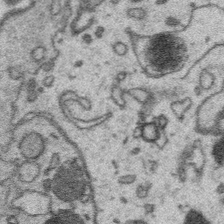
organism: Platynereis dumerilii